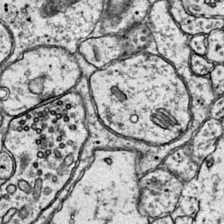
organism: Mouse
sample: Primary visual cortex